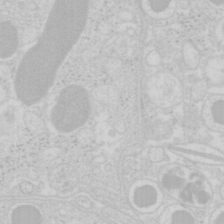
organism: Mouse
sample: Pancreas